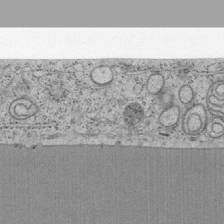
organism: Human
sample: HeLa cells